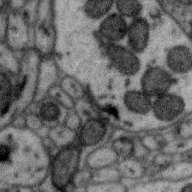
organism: Zebra finch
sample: Brain